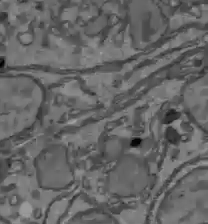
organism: C57BL Mouse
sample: Liver